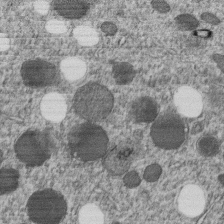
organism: C. elegans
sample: C. elegans embryo early stage